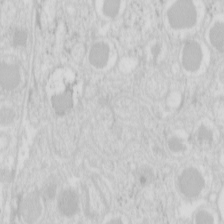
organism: Mouse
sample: Pancreas